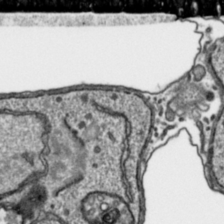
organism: Toxoplasma gondii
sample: Parasites in a vacuole inside a host cell